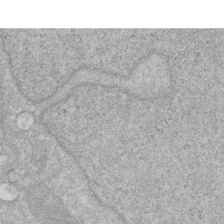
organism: Human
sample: HIV infected U937 cells